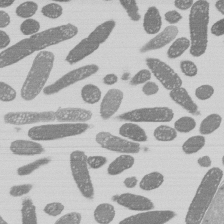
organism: E. coli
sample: Bacterial nucleoid